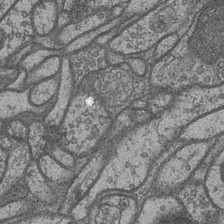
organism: Drosophila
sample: Optic medulla